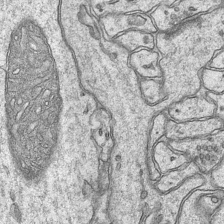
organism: Mouse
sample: CA1 Hippocampus